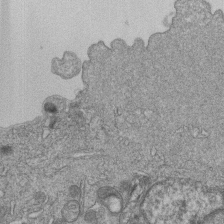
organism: Human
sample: MDA-MB-231 cells